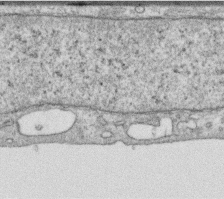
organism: Human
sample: Centriole in RPE cells